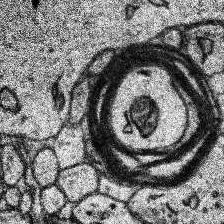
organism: Human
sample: Temporal Lobe